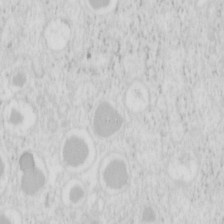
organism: Mouse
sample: Pancreas